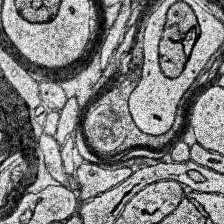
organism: Human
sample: Temporal Lobe